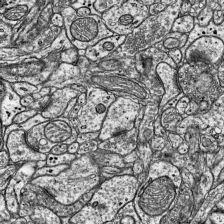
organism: Mouse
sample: Visual Cortex